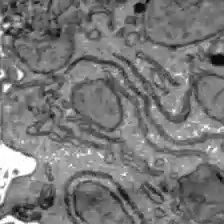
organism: C57BL Mouse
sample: Liver